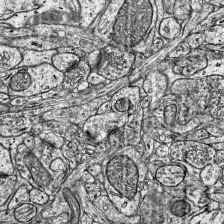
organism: Mouse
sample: Visual Cortex